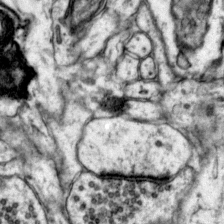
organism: Mouse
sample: Primary visual cortex